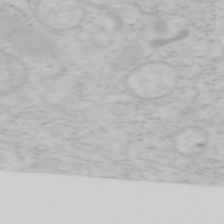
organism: Mouse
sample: OT-I killer T cells with ID8 ovarian cancer cells